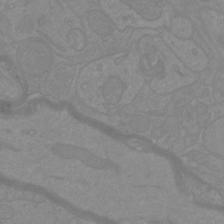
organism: Mouse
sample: Cortical neurons